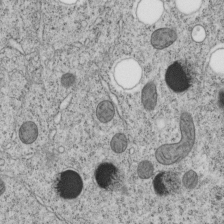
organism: C. elegans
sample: C. elegans embryo early stage